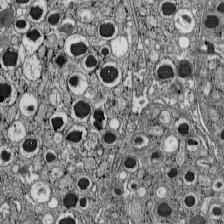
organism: C57BL Mouse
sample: Pancreatic islet